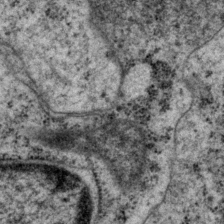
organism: P. pacificus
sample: Pharynx